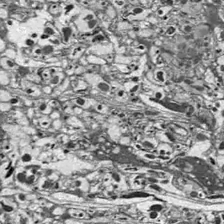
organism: Drosophila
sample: Optic lobe